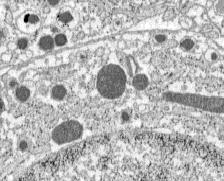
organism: C57BL Mouse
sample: Pancreatic islet